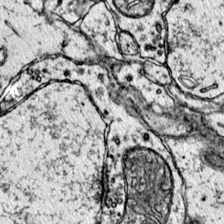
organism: Mouse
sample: Primary visual cortex